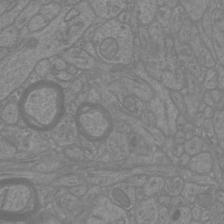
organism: Mouse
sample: Cortical neurons